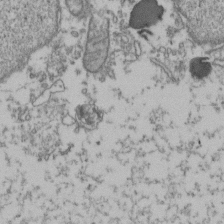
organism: Human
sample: Activated Jurkat CD4+ T cells